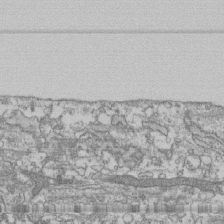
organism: Human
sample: Fibroblast cells